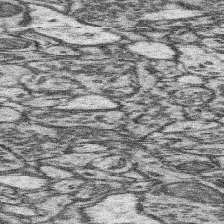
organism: Mouse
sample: Somatosensory cortex neuropil